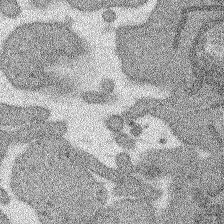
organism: Human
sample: HeLa cells